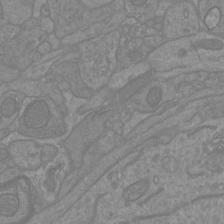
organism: Mouse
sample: Cortical neurons